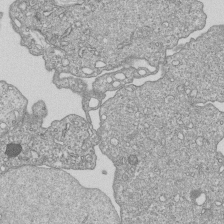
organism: Human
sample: MDA-MB-231 cells